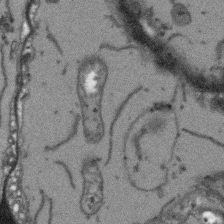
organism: Arabidopsis thaliana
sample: Root tip